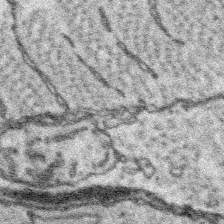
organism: Platynereis dumerilii